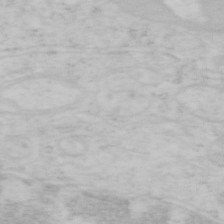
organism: Mouse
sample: OT-I killer T cells with ID8 ovarian cancer cells